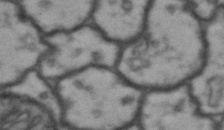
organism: Drosophila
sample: Brain